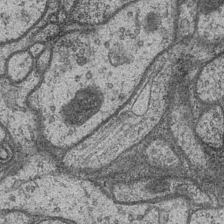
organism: Drosophila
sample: Optic medulla